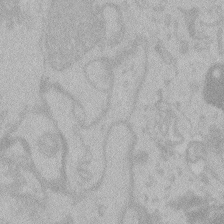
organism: Zebrafish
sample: Macrophage infected with Toxoplasma gondii